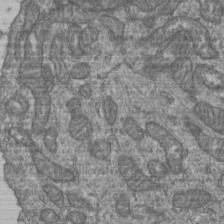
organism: Human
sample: Retinal organoid Rod and Cone cells